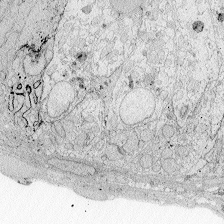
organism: Zebrafish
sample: Whole-Brain